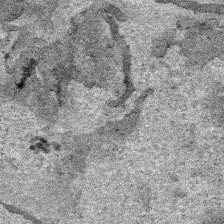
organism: Human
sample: Mitochondria in HCT116 cells